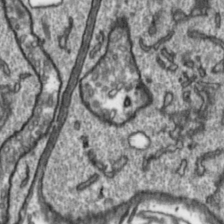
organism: Toxoplasma gondii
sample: Parasites in a vacuole inside a host cell